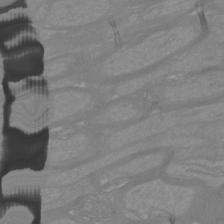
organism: Mouse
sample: Cortical neurons